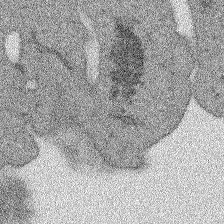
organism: Human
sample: HeLa cells